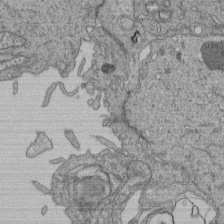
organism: Human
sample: Retinal organoid Rod and Cone cells